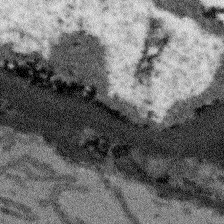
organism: Arabidopsis thaliana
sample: Root tip